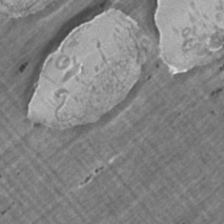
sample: Trachea